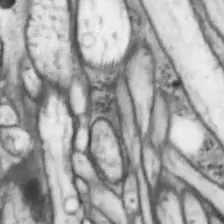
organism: Drosophila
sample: Optic lobe